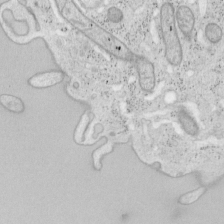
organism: Mouse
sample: OT-I killer T cells with ID8 ovarian cancer cells